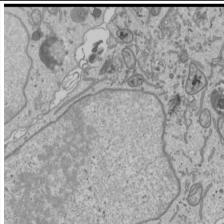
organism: Human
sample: Mitochondria in U2OS cells